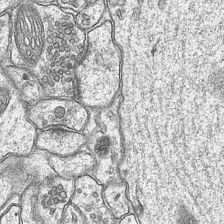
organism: Mouse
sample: CA1 Hippocampus